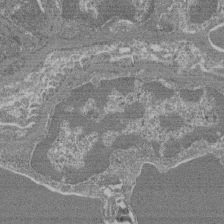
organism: Mouse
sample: Glomerulus